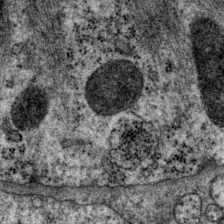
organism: P. pacificus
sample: Pharynx